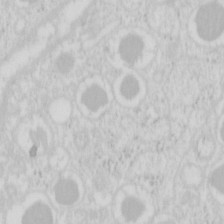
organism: Mouse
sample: Pancreas